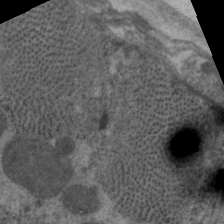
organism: C. elegans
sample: Pharynx